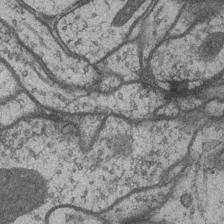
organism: Drosophila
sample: Optic medulla